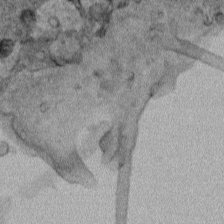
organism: Human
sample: Mitochondria in HCT116 cells